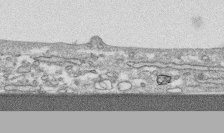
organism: Human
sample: CRL-1474